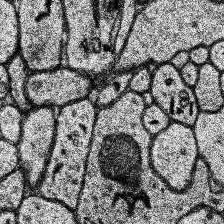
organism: Human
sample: Temporal Lobe